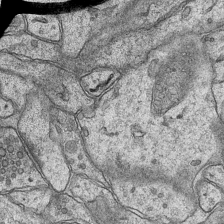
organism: Mouse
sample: CA1 Hippocampus